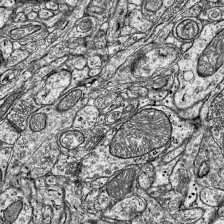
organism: Mouse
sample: Visual Cortex